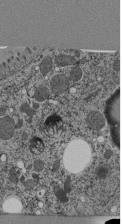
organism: C. elegans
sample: C. elegans pharynx